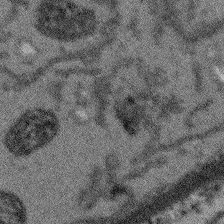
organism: Arabidopsis thaliana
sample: Root tip